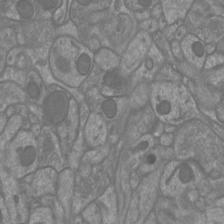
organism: Mouse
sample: Cortical neurons